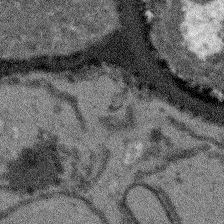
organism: Arabidopsis thaliana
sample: Root tip